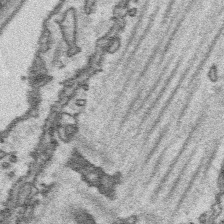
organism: Platynereis dumerilii